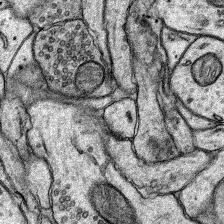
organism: Rat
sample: Hippocampus